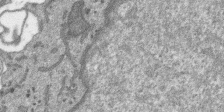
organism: Human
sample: Lung epithelial cells infected with SARS-CoV-2